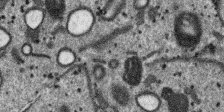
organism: Human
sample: Lung epithelial cells infected with SARS-CoV-2